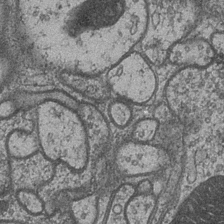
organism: Drosophila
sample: Optic medulla